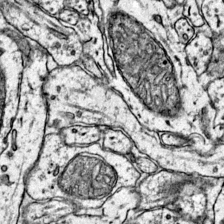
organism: Mouse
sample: Primary visual cortex